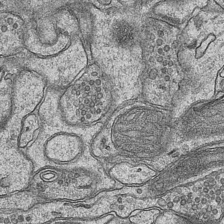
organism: Mouse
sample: CA1 Hippocampus